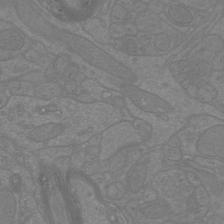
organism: Mouse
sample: Cortical neurons